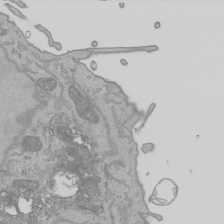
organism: Human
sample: Mitochondria in HCT116 cells